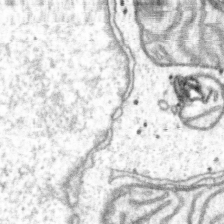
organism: Human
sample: HeLa cells